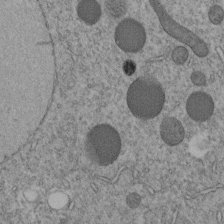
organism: C. elegans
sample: C. elegans embryo early stage